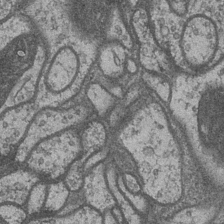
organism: Drosophila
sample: Optic medulla